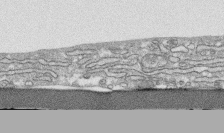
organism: Human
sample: CRL-1474